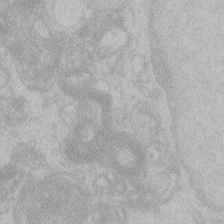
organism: Zebrafish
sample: Macrophage infected with Toxoplasma gondii